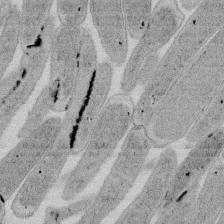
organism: E. coli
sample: Bacterial nucleoid